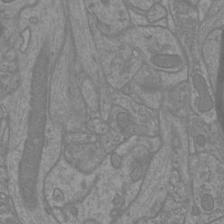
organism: Mouse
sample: Cortical neurons